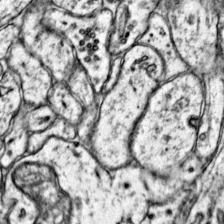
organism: Mouse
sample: Primary visual cortex